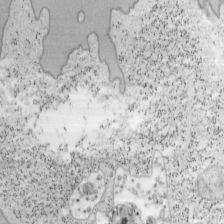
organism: Mouse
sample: OT-I killer T cells with ID8 ovarian cancer cells